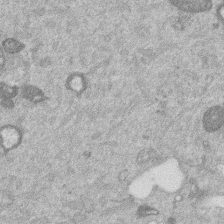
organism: Mouse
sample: Dividing mouse embryo 1 cell stage